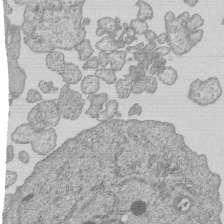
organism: Human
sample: MDA-MB-231 cells